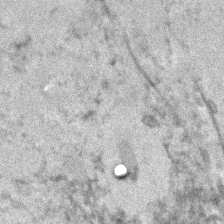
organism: Human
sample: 1205lu cells